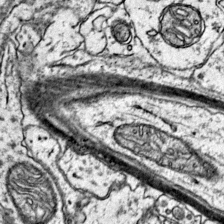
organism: Mouse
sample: Primary visual cortex